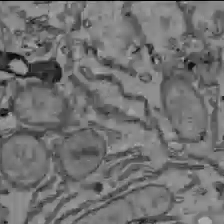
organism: C57BL Mouse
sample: Liver